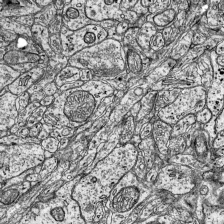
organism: Mouse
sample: Visual Cortex